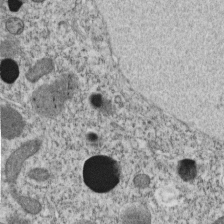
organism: C. elegans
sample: C. elegans embryo early stage